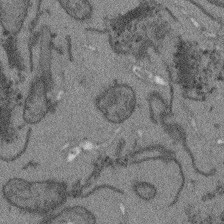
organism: Arabidopsis thaliana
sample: Root tip